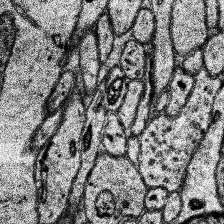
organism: Human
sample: Temporal Lobe